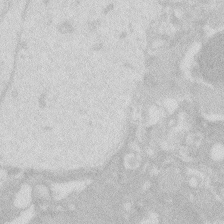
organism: Zebrafish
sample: Macrophage